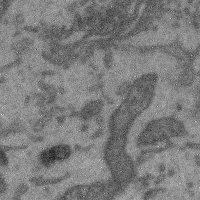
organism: Mouse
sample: Cerebral cortex